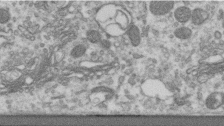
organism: Human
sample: Centriole in RPE cells